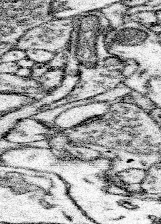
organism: Mouse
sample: Somatosensory cortex neuropil